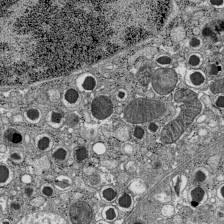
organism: C57BL Mouse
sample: Pancreatic islet